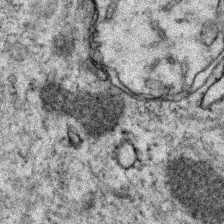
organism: Zebrafish